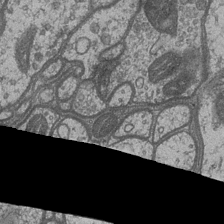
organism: Drosophila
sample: Optic medulla